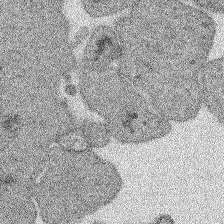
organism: Human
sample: HeLa cells